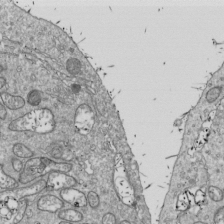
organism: Drosophila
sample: Cell division; meiosis; drosophila spermatocytes